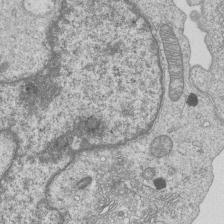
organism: Human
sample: MDA-MB-231 cells